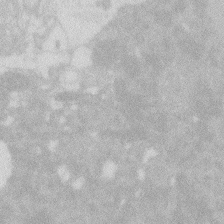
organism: Zebrafish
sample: Macrophage